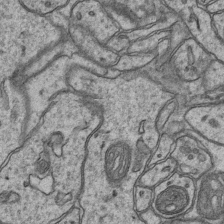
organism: Mouse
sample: CA1 Hippocampus